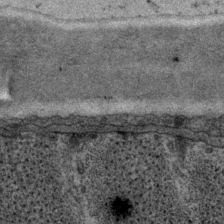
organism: P. pacificus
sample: Pharynx